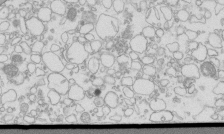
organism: Mouse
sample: Macrophages